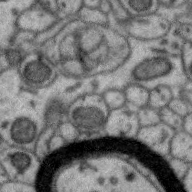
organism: Zebra finch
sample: Brain